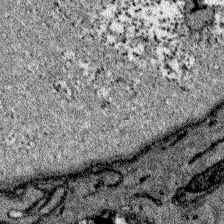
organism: Zebrafish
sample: Larval olfactory bulb